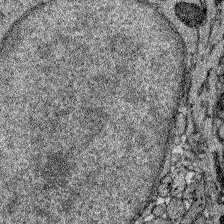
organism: Zebrafish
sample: Larval olfactory bulb